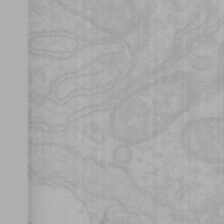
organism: Mouse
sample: Choroid plexus